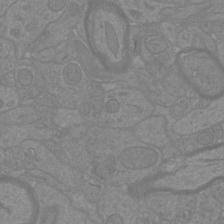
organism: Mouse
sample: Cortical neurons